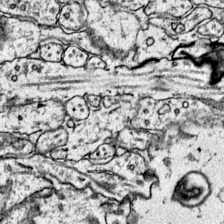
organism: Mouse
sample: Primary visual cortex